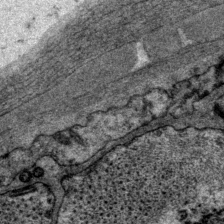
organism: P. pacificus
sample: Pharynx